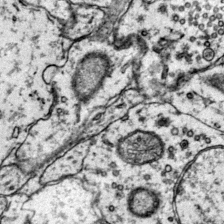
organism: Mouse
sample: Primary visual cortex